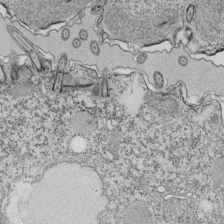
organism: Tetrahymena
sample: Cilia in tetrahymena